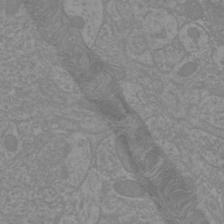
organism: Mouse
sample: Cortical neurons